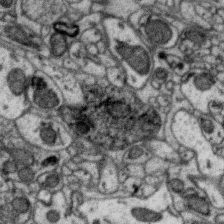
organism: Zebra finch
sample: Brain